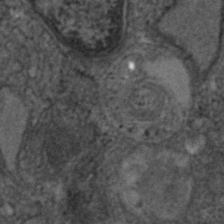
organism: Human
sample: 1205lu cells